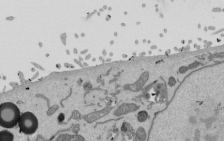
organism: Mouse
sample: ED-1 cell nuclei; centrioles